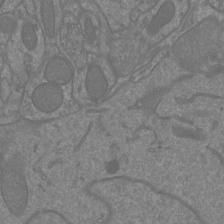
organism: Mouse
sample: Cortical neurons